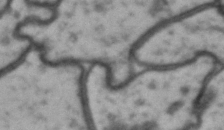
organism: Drosophila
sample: Brain